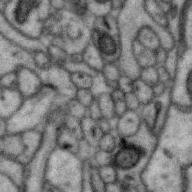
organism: Zebra finch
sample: Brain